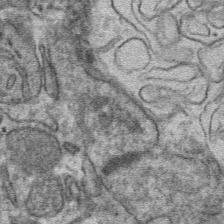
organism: Mouse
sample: Mouse hepatocytes